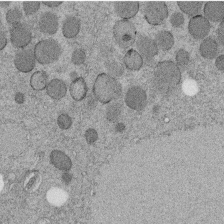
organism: C. elegans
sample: C. elegans embryo early stage